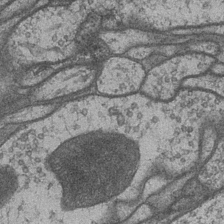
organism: Drosophila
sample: Optic medulla